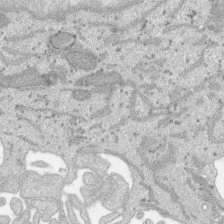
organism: Human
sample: Lung epithelial cells infected with SARS-CoV-2